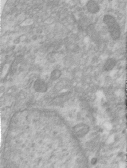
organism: Human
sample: Centriole in RPE cells